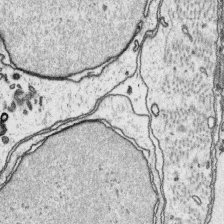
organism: Platynereis dumerilii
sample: Parapodia